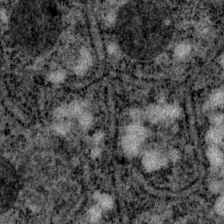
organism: P. pacificus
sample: Pharynx